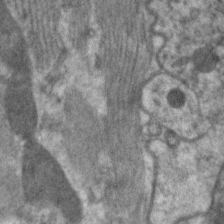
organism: C. elegans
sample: Pharynx